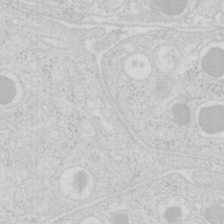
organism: Mouse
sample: Pancreas